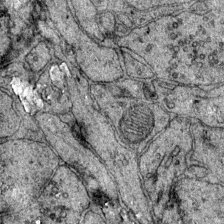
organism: Mouse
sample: Primary visual cortex